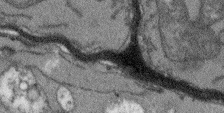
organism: Arabidopsis thaliana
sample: Root tip